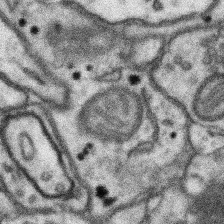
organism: Mouse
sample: Somatosensory cortex neuropil